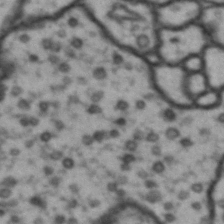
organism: Drosophila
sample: Brain